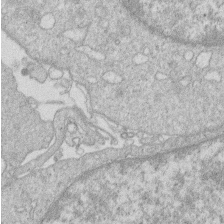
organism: Human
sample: Macrophage cells